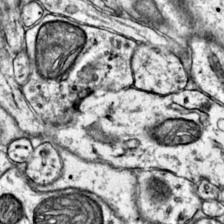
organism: Mouse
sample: Primary visual cortex